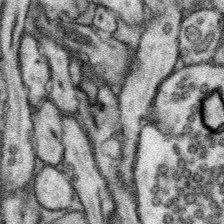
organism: Mouse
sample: Somatosensory cortex neuropil